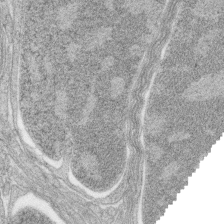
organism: Zebrafish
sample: synaptic ribbons in rod cells and cone cells